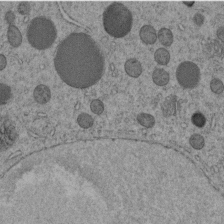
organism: C. elegans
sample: C. elegans embryo early stage